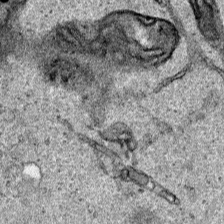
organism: Human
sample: Mitochondria in HCT116 cells